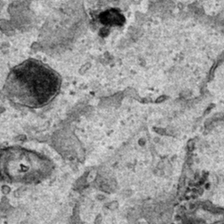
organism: Human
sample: Mitochondria in HCT116 cells